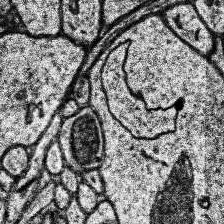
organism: Human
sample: Temporal Lobe